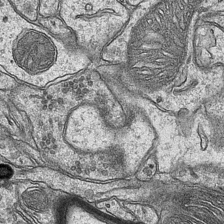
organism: Mouse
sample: CA1 Hippocampus